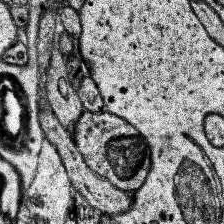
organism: Human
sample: Temporal Lobe